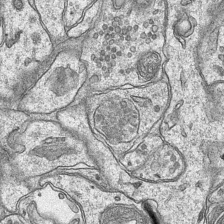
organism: Mouse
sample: CA1 Hippocampus